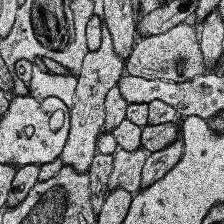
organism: Human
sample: Temporal Lobe